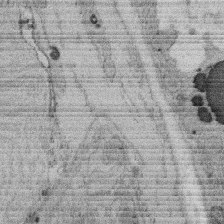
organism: Rat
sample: Salivary granule